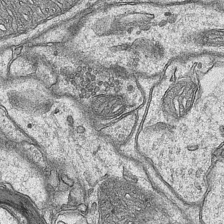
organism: Mouse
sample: CA1 Hippocampus